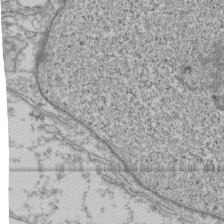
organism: Human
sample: Fibroblast cells